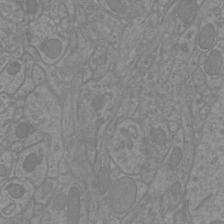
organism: Mouse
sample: Cortical neurons